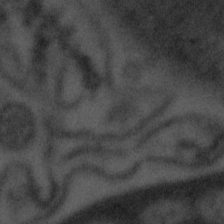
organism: Tuwongella immobilis